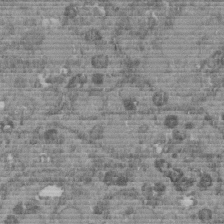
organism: C. elegans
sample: C. elegans embryo early stage